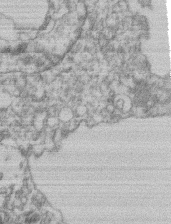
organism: Mouse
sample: T cell stromal cell synapse